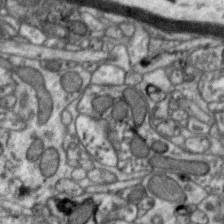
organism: Zebra finch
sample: Brain